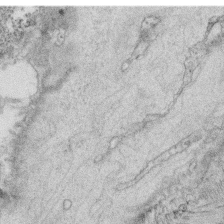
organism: C. elegans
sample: C. elegans oocyte; sperm cells